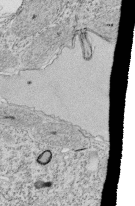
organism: Tetrahymena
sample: Cilia in tetrahymena